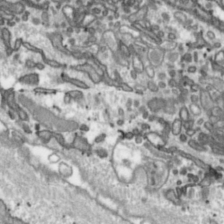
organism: Toxoplasma gondii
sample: Parasites in a vacuole inside a host cell